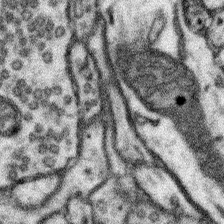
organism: Mouse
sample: Somatosensory cortex neuropil